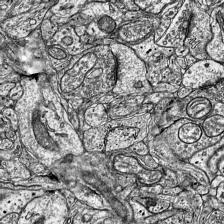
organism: Mouse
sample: Visual Cortex